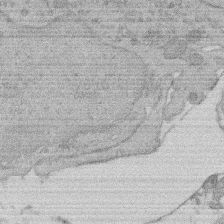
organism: Rat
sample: Salivary granule